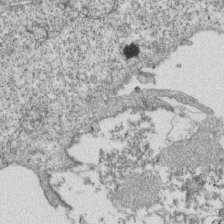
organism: Human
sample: HeLa cell HIV synapse